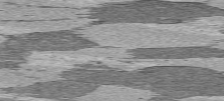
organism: C57BL Mouse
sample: Heart